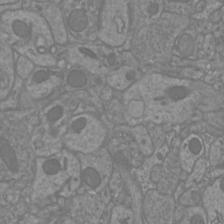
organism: Mouse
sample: Cortical neurons